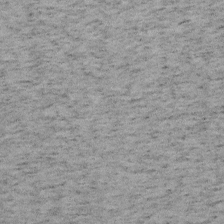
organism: Mouse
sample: OT-I killer T cells with ID8 ovarian cancer cells